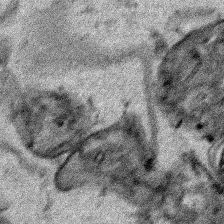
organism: Human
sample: Mitochondria in HCT116 cells